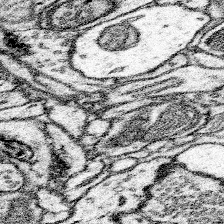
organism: Mouse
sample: Somatosensory cortex neuropil